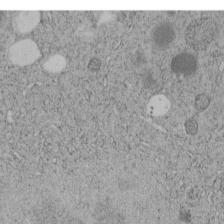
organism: C. elegans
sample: C. elegans embryo early stage